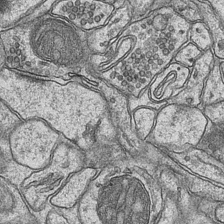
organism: Mouse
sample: CA1 Hippocampus